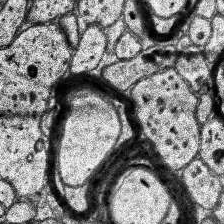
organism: Human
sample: Temporal Lobe